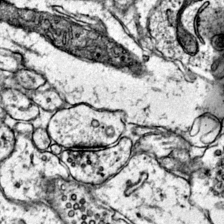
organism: Mouse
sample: Primary visual cortex